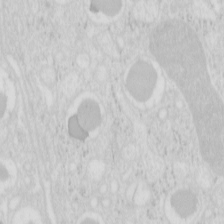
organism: Mouse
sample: Pancreas